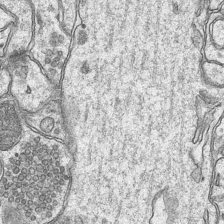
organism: Mouse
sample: CA1 Hippocampus